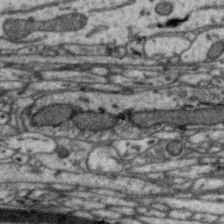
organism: Zebra finch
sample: Brain